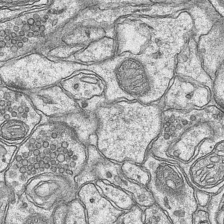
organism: Mouse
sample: CA1 Hippocampus